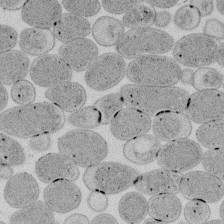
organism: E. coli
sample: Bacterial nucleoid